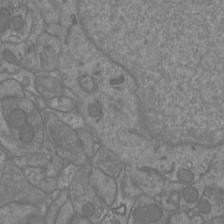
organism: Mouse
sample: Cortical neurons